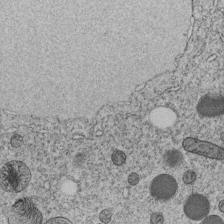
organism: C. elegans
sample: C. elegans embryo early stage